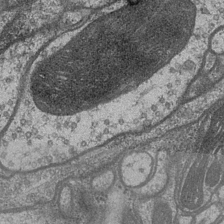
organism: Drosophila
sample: Optic medulla